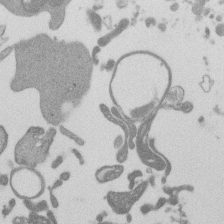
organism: Mouse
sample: Dividing mouse embryo 1 cell stage